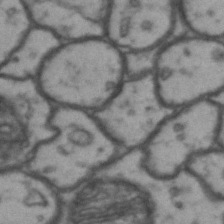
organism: Drosophila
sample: Brain